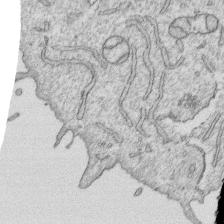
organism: Human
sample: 1205lu cells